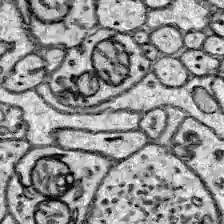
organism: Zebrafish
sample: Brain